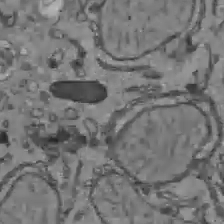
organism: C57BL Mouse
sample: Liver